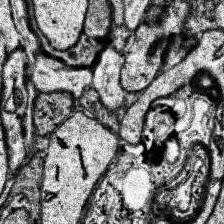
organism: Human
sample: Temporal Lobe